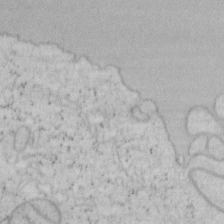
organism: Human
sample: HeLa cells